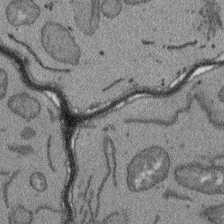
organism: Arabidopsis thaliana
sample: Root tip